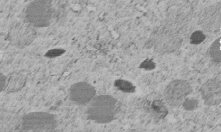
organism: C. elegans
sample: C. elegans embryo early stage